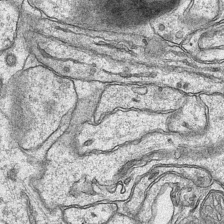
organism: Mouse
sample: CA1 Hippocampus